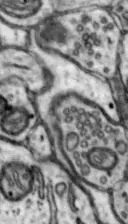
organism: Mouse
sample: Nucleus accumbens